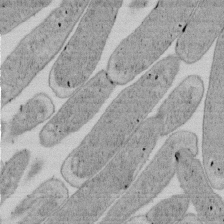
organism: E. coli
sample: Bacterial nucleoid